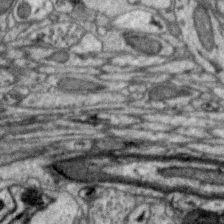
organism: Zebra finch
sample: Brain